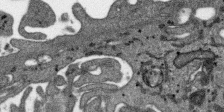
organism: Human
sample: Lung epithelial cells, uninfected (mock) control